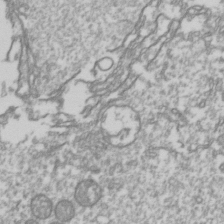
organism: Drosophila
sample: Cell division; meiosis; drosophila spermatocytes